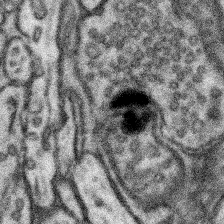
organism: Mouse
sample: Somatosensory cortex neuropil